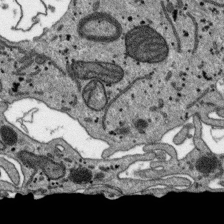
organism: Human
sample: Lung epithelial cells, uninfected (mock) control